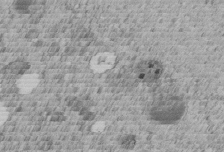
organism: C. elegans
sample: C. elegans embryo early stage